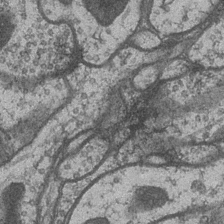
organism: Drosophila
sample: Optic medulla